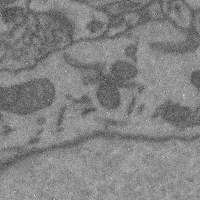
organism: Mouse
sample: Cerebral cortex